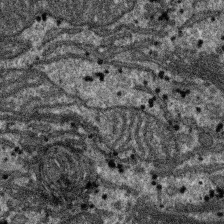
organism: Human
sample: Lung epithelial cells infected with SARS-CoV-2